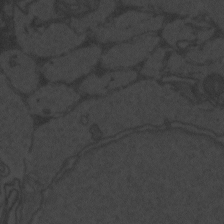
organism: Zebrafish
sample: Macrophage infected with Toxoplasma gondii